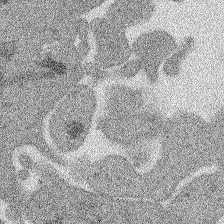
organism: Human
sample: HeLa cells